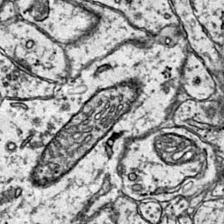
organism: Mouse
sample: Primary visual cortex